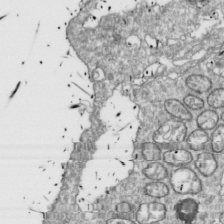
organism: Drosophila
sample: Cell division; meiosis; drosophila spermatocytes